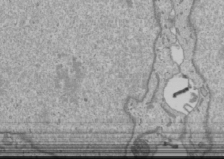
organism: Human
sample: Mitochondria in U2OS cells